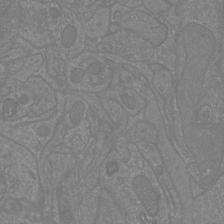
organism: Mouse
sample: Cortical neurons